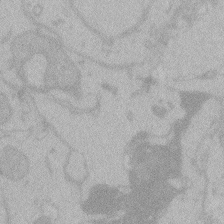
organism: Zebrafish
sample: Macrophage infected with Toxoplasma gondii